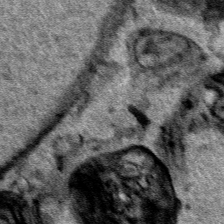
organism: Human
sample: Mitochondria in HCT116 cells